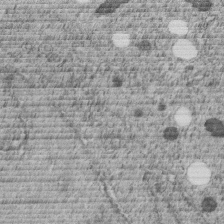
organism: C. elegans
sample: C. elegans embryo early stage